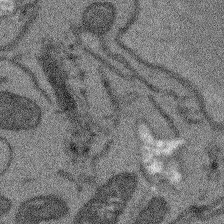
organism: Arabidopsis thaliana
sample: Root tip